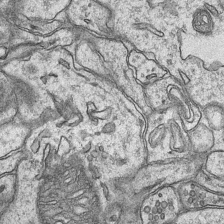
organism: Mouse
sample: CA1 Hippocampus